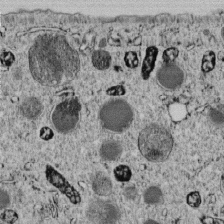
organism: C. elegans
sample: C. elegans embryo early stage